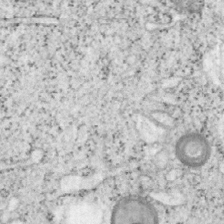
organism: Mouse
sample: OT-I killer T cells with ID8 ovarian cancer cells